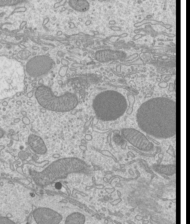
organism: Mouse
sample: Cilia; mouse epididymis